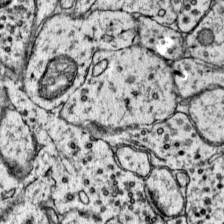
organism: Mouse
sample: Primary visual cortex